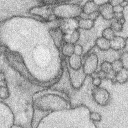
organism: Rabbit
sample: Retina